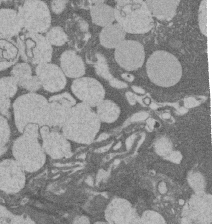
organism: Rat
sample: Salivary granule